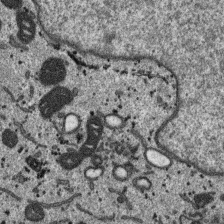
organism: Human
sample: Lung epithelial cells infected with SARS-CoV-2